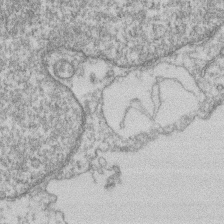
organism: Mouse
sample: T cell stromal cell synapse